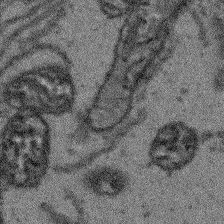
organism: Arabidopsis thaliana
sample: Root tip